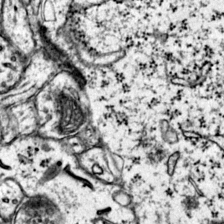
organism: Mouse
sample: Primary visual cortex